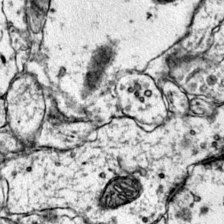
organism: Mouse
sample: Primary visual cortex